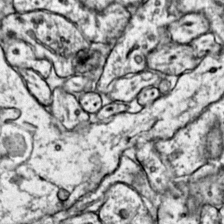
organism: Mouse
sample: Primary visual cortex